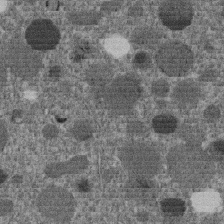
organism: C. elegans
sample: C. elegans embryo early stage